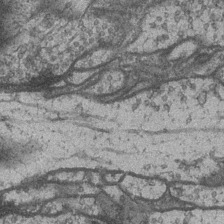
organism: Drosophila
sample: Optic medulla